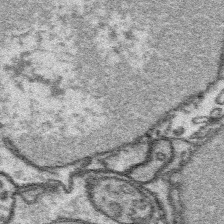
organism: Platynereis dumerilii